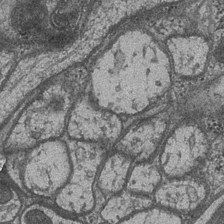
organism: Drosophila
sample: Optic medulla